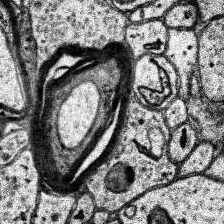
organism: Human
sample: Temporal Lobe